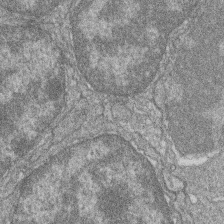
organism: Zebrafish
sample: Cilia; retinal pigment epithelium